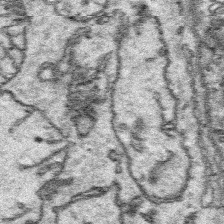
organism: Platynereis dumerilii